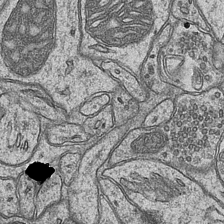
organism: Mouse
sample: CA1 Hippocampus